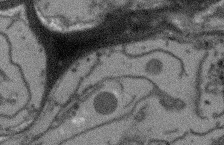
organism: Arabidopsis thaliana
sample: Root tip